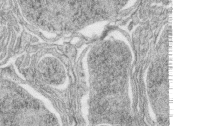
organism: Zebrafish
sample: synaptic ribbons in rod cells and cone cells